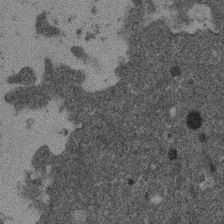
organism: Mouse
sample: Dividing mouse embryo 1 cell stage